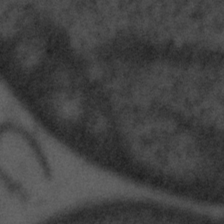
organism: Tuwongella immobilis